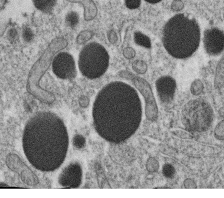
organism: C. elegans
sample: C. elegans oocyte; sperm cells